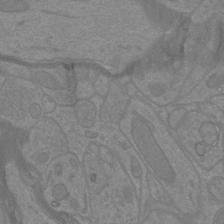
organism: Mouse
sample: Cortical neurons